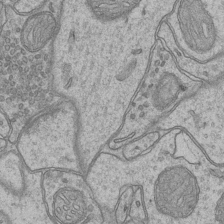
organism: Mouse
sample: CA1 Hippocampus